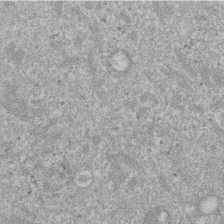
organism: Mouse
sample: Dividing mouse embryo 1 cell stage